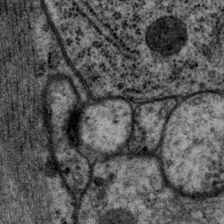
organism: P. pacificus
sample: Pharynx